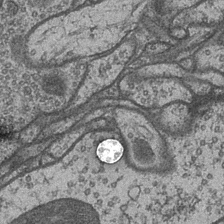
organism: Drosophila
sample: Optic medulla